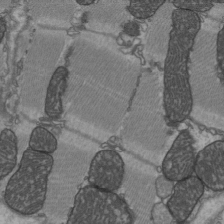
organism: C57BL Mouse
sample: Heart